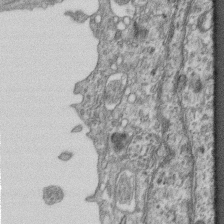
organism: Mouse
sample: Centriole in ependymal cells